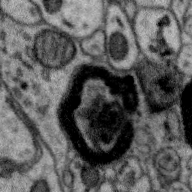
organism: Zebra finch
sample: Brain